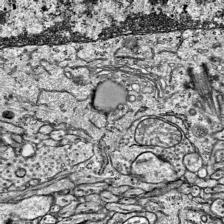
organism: Mouse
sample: Visual Cortex